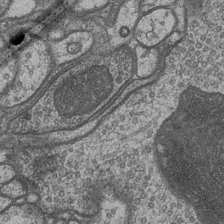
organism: Drosophila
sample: Optic medulla